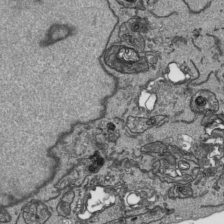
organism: Human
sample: Mitochondria in HCT116 cells